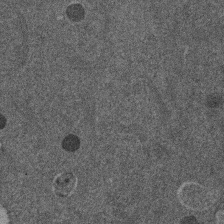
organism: Mouse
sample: Dividing mouse embryo 1 cell stage